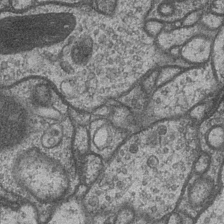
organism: Drosophila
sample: Optic medulla